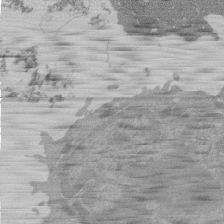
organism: Mouse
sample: Activated Pmel transgenic CD8+ T Cells